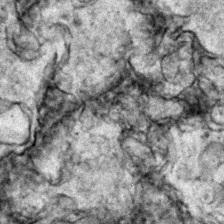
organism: Zebrafish